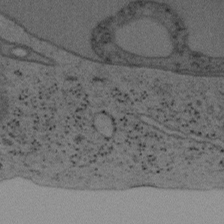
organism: Human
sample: HeLa cells